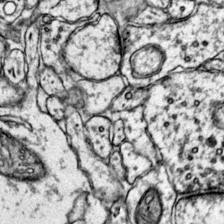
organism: Mouse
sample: Primary visual cortex